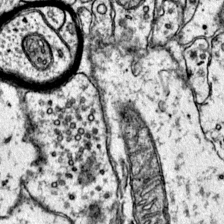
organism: Mouse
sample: Primary visual cortex